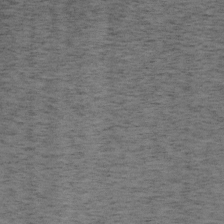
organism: Mouse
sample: OT-I killer T cells with ID8 ovarian cancer cells